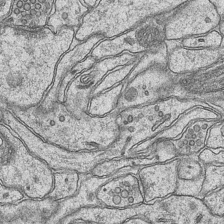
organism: Mouse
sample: CA1 Hippocampus